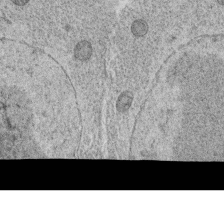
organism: C. elegans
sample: C. elegans oocyte; sperm cells